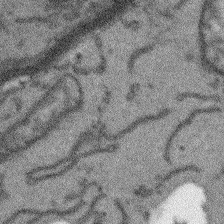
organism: Arabidopsis thaliana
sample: Root tip